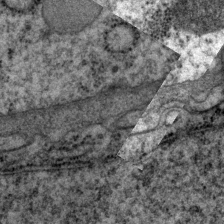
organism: P. pacificus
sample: Pharynx